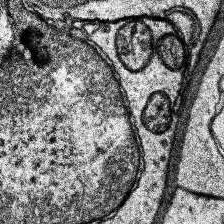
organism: Human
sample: Temporal Lobe